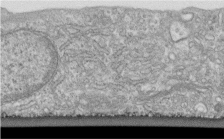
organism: Human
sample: Centriole in fibroblast cells